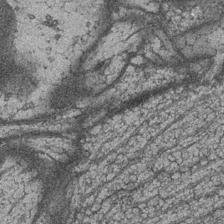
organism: Drosophila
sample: Optic medulla